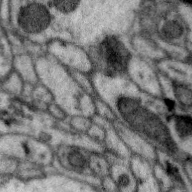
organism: Zebra finch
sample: Brain